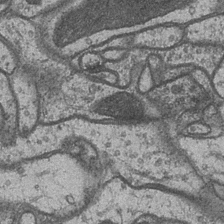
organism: Drosophila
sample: Optic medulla